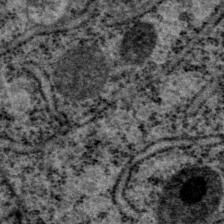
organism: P. pacificus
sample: Pharynx